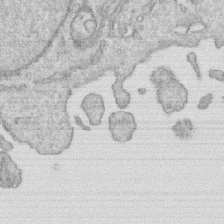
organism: Human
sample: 1205lu cells